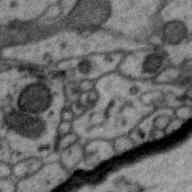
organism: Zebra finch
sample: Brain